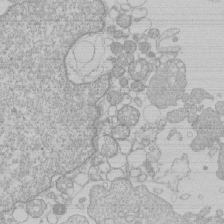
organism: Human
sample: Macrophage cells